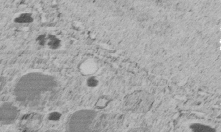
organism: C. elegans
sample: C. elegans embryo early stage